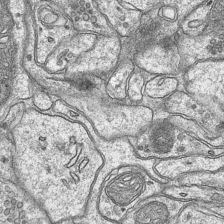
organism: Mouse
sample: CA1 Hippocampus